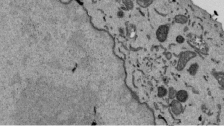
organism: Mouse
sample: ED-1 cell nuclei; centrioles